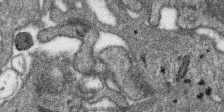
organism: Human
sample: Lung epithelial cells infected with SARS-CoV-2